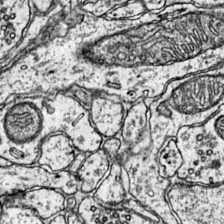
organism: Mouse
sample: Primary visual cortex